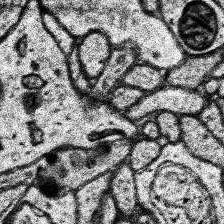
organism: Human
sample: Temporal Lobe